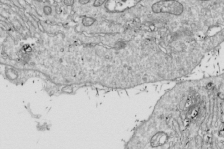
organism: Drosophila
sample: Cell division; meiosis; drosophila spermatocytes